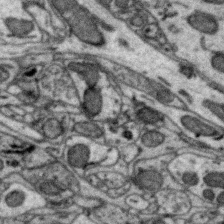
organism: Zebra finch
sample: Brain